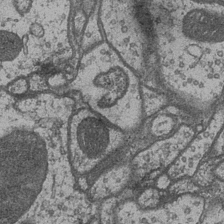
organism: Drosophila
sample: Optic medulla